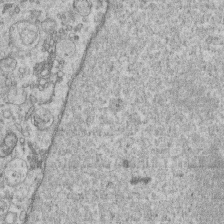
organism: Human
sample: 1205lu cells